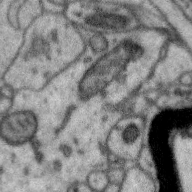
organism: Zebra finch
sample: Brain